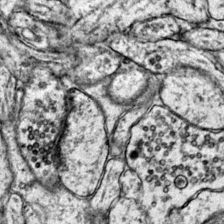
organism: Mouse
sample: Primary visual cortex